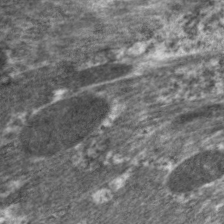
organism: C. elegans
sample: Pharynx